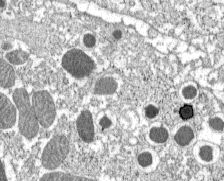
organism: C57BL Mouse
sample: Pancreatic islet